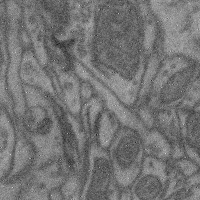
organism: Mouse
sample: Cerebral cortex